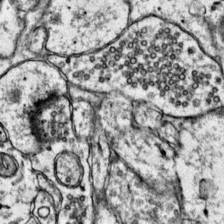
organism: Mouse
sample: Primary visual cortex